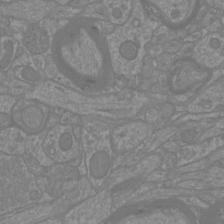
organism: Mouse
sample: Cortical neurons